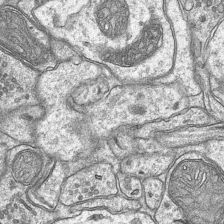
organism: Mouse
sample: CA1 Hippocampus